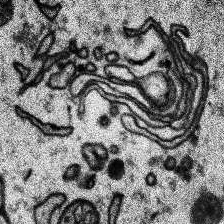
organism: Human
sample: Temporal Lobe